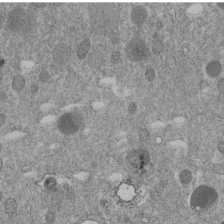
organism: C. elegans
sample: C. elegans embryo early stage